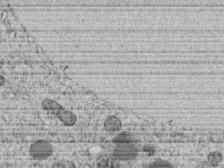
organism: C. elegans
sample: C. elegans embryo early stage